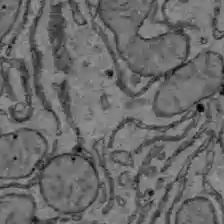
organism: C57BL Mouse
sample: Liver